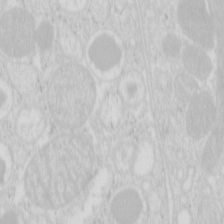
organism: Mouse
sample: Pancreas